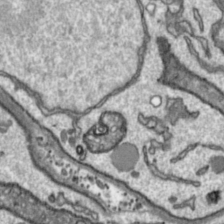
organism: Toxoplasma gondii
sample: Parasites in a vacuole inside a host cell